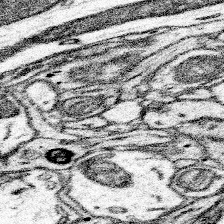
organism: Mouse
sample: Somatosensory cortex neuropil